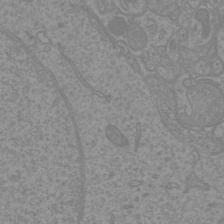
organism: Mouse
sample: Cortical neurons